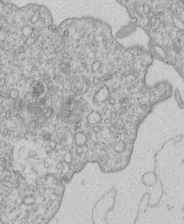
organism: Human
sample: Macrophage cells